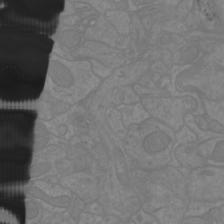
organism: Mouse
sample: Cortical neurons